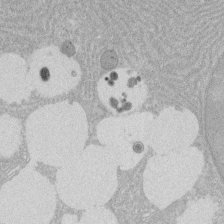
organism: Rat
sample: Salivary granule